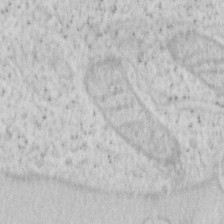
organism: Human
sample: HeLa cells